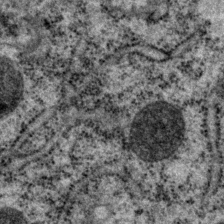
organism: P. pacificus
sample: Pharynx